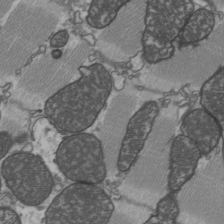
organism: C57BL Mouse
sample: Heart